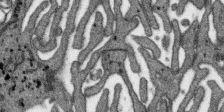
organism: Human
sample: Lung epithelial cells, uninfected (mock) control